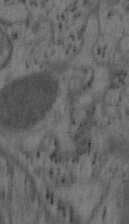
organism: Human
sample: HeLa cells